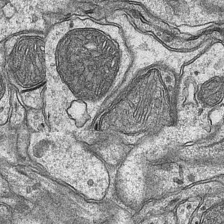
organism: Mouse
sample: CA1 Hippocampus